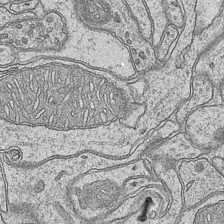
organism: Mouse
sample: CA1 Hippocampus